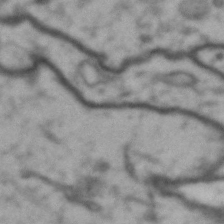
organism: Drosophila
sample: Brain